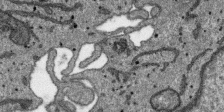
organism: Human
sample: Lung epithelial cells, uninfected (mock) control